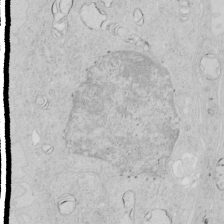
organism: Human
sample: Mitochondria in HCT116 cells